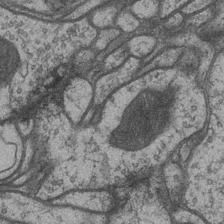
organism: Drosophila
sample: Optic medulla